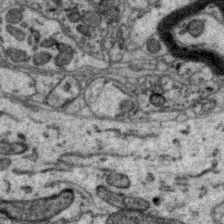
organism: Zebra finch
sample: Brain